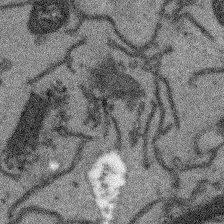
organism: Arabidopsis thaliana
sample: Root tip